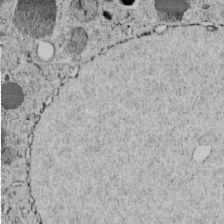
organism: C. elegans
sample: C. elegans embryo early stage